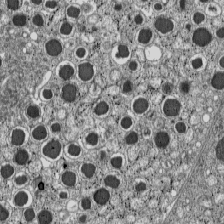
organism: C57BL Mouse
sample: Pancreatic islet